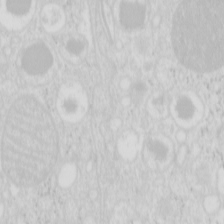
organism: Mouse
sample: Pancreas